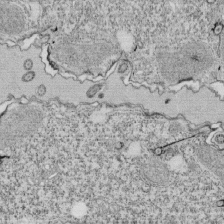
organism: Tetrahymena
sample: Cilia in tetrahymena